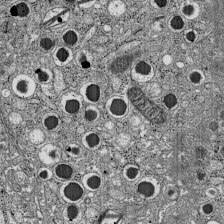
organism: C57BL Mouse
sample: Pancreatic islet